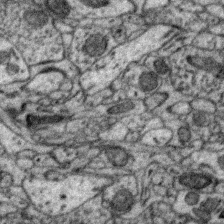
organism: Zebra finch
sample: Brain